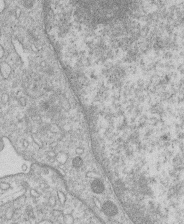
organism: Human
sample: Macrophage cells